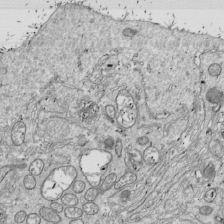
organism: Drosophila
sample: Cell division; meiosis; drosophila spermatocytes